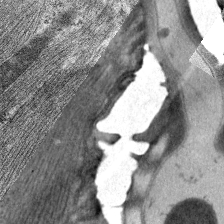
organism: C. elegans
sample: Pharynx